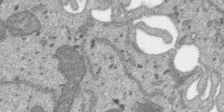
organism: Human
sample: Lung epithelial cells infected with SARS-CoV-2